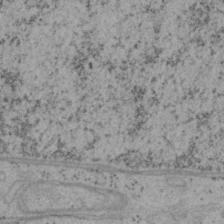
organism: Human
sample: HeLa cells